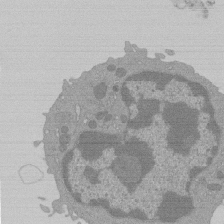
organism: Mouse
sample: Activated Pmel transgenic CD8+ T Cells